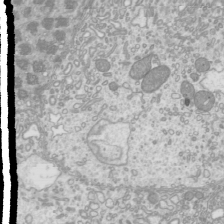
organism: Mouse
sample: Cilia; mouse epididymis